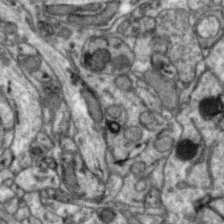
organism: Zebra finch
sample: Brain